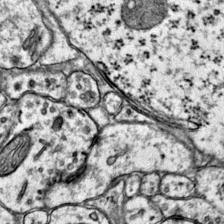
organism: Mouse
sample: Primary visual cortex